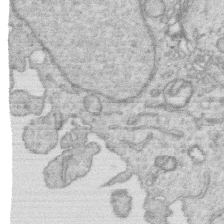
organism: Human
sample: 1205lu cells